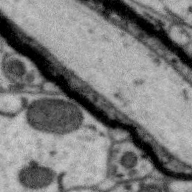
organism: Zebra finch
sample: Brain